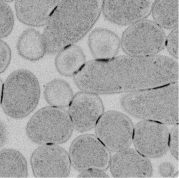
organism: E. coli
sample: Bacterial nucleoid